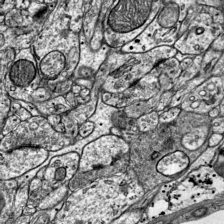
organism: Mouse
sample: Visual Cortex